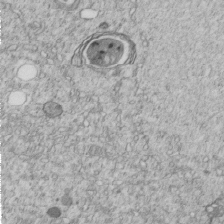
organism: C. elegans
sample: C. elegans embryo early stage